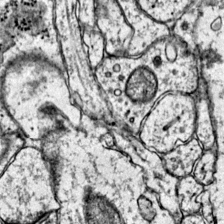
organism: Mouse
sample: Primary visual cortex